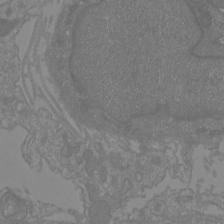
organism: Mouse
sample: Cortical neurons